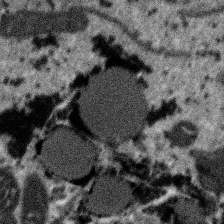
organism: Human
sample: Lung epithelial cells infected with SARS-CoV-2